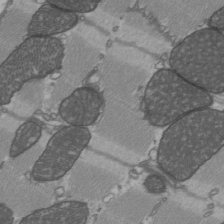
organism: C57BL Mouse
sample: Heart